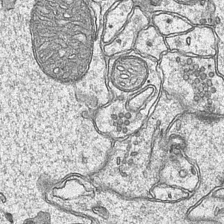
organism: Mouse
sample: CA1 Hippocampus